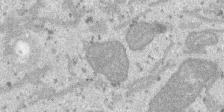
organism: Human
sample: Lung epithelial cells infected with SARS-CoV-2